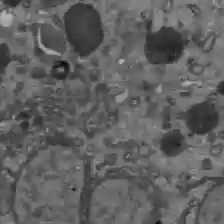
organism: C57BL Mouse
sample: Liver